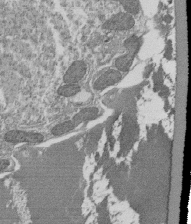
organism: Tetrahymena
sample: Cilia in tetrahymena